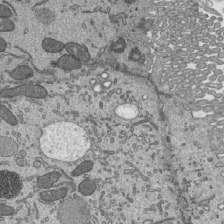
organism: Mouse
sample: Mouse epididymis efferent ductule cilia